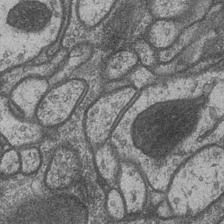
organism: Drosophila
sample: Optic medulla